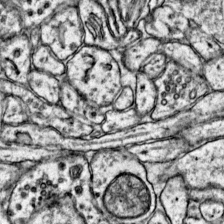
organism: Mouse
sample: Primary visual cortex